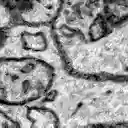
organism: Zebrafish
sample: Brain